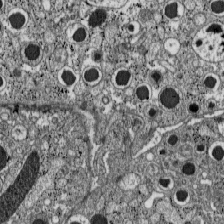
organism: C57BL Mouse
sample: Pancreatic islet